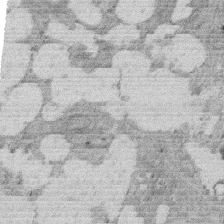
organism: Rat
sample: Salivary granule